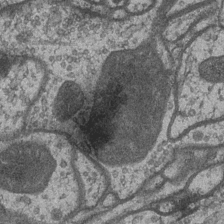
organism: Drosophila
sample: Optic medulla